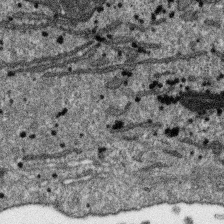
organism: Human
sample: Lung epithelial cells infected with SARS-CoV-2